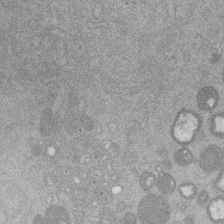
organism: Mouse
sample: Dividing mouse embryo 1 cell stage